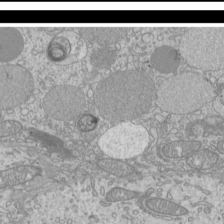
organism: Mouse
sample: Cilia; mouse epididymis